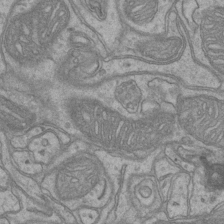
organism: Mouse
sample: CA1 Hippocampus